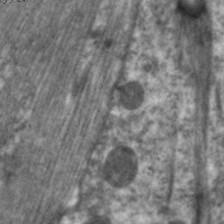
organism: C. elegans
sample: Pharynx